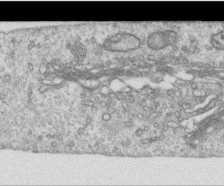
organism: Human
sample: Centriole in RPE cells